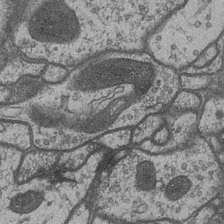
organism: Drosophila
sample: Optic medulla